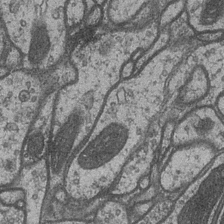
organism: Drosophila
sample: Optic medulla